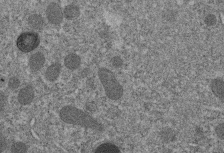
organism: C. elegans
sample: C. elegans embryo early stage